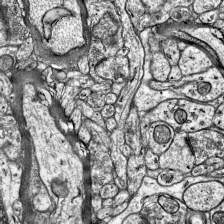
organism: Mouse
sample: Visual Cortex